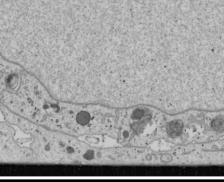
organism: Human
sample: Mitochondria in U2OS cells